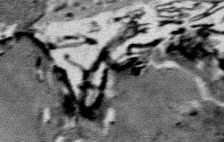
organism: Mouse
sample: Mouse Salivary gland